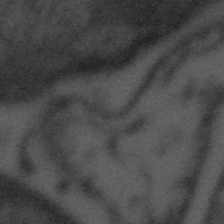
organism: Tuwongella immobilis